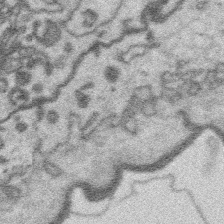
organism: Platynereis dumerilii